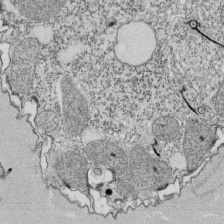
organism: Tetrahymena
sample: Cilia in tetrahymena